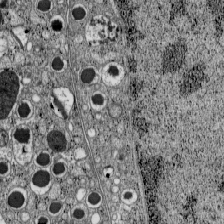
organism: C57BL Mouse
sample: Pancreatic islet